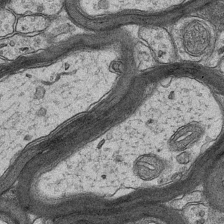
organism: Mouse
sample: CA1 Hippocampus